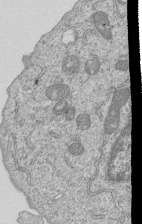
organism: Human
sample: MDA-MB-231 cells